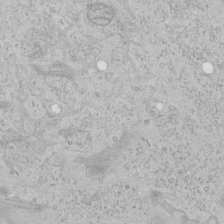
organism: Human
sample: Mitochondria in HCT116 cells